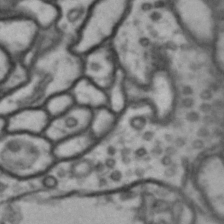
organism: Drosophila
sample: Brain